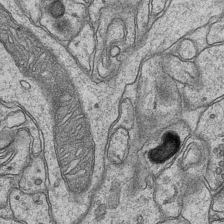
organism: Mouse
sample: CA1 Hippocampus